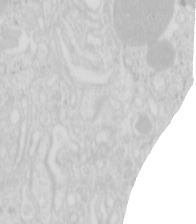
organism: Mouse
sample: Pancreas